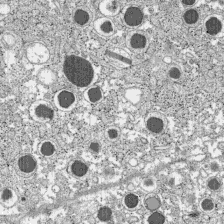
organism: C57BL Mouse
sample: Pancreatic islet